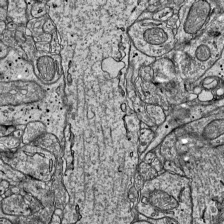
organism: Mouse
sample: Visual Cortex